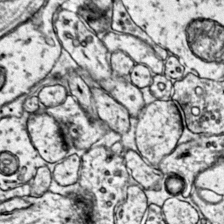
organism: Mouse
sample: Primary visual cortex